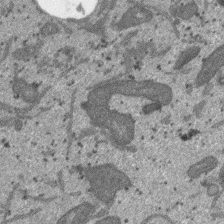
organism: Human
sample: Lung epithelial cells infected with SARS-CoV-2